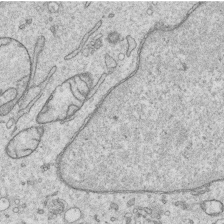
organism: Human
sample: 1205lu cells